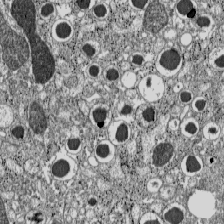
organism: C57BL Mouse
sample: Pancreatic islet